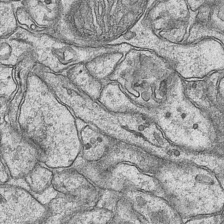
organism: Mouse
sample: CA1 Hippocampus